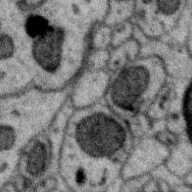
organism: Zebra finch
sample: Brain